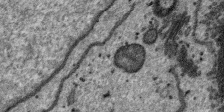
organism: Human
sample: Lung epithelial cells, uninfected (mock) control